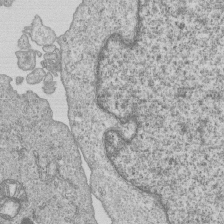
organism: Human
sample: MDA-MB-231 cells